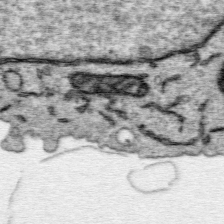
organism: Human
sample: HeLa cells